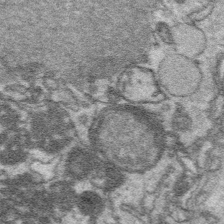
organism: Platynereis dumerilii